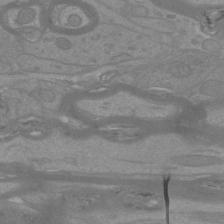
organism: Mouse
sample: Cortical neurons